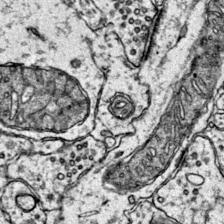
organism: Mouse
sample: Primary visual cortex